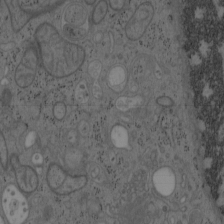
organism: Mouse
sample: OT-I killer T cells with ID8 ovarian cancer cells